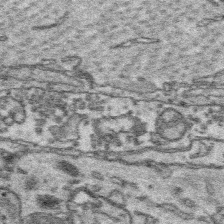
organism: Platynereis dumerilii